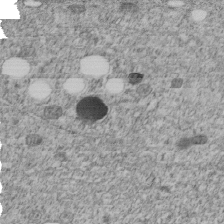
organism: C. elegans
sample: C. elegans embryo early stage